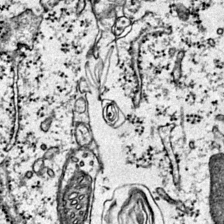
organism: Mouse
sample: Primary visual cortex